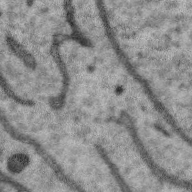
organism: Zebra finch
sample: Brain